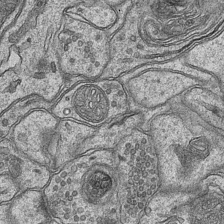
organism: Mouse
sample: CA1 Hippocampus